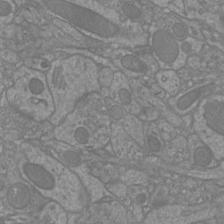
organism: Mouse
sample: Cortical neurons